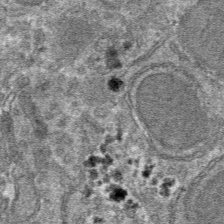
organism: Mouse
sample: Mouse hepatocytes